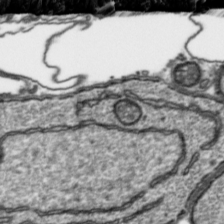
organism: Toxoplasma gondii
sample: Parasites in a vacuole inside a host cell